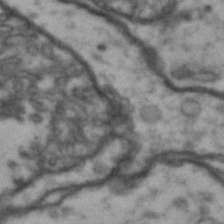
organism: Drosophila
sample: Brain